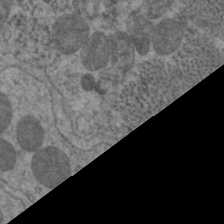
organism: C. elegans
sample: Pharynx